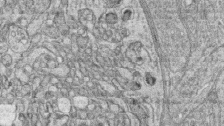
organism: Zebrafish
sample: synaptic ribbons in rod cells and cone cells